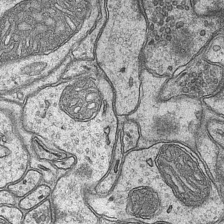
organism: Mouse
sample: CA1 Hippocampus